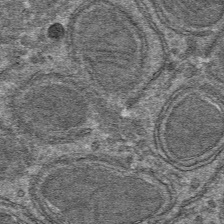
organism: Mouse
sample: Mouse hepatocytes